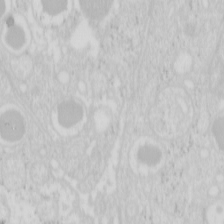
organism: Mouse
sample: Pancreas